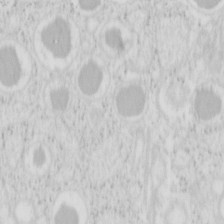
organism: Mouse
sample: Pancreas